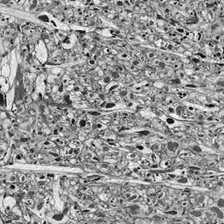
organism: Drosophila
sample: Optic lobe